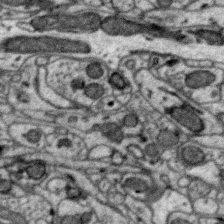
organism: Zebra finch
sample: Brain